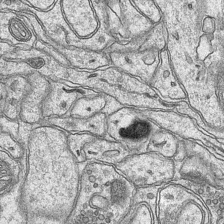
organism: Mouse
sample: CA1 Hippocampus